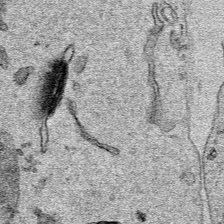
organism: Human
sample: Mitochondria in HCT116 cells